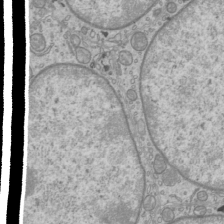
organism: Mouse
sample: Cilia; mouse epididymis